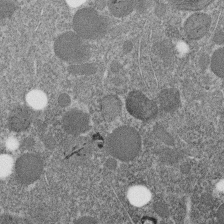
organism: C. elegans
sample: C. elegans embryo early stage